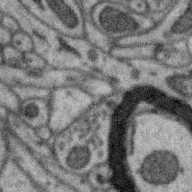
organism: Zebra finch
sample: Brain